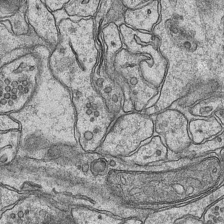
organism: Mouse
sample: CA1 Hippocampus